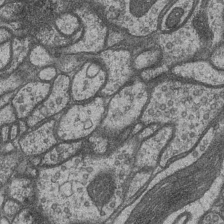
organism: Drosophila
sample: Optic medulla